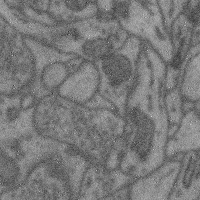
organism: Mouse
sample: Cerebral cortex